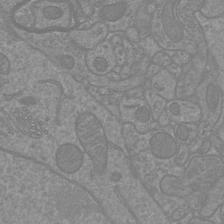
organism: Mouse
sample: Cortical neurons